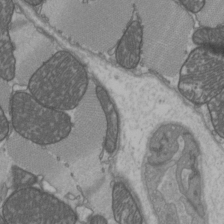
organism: C57BL Mouse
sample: Heart